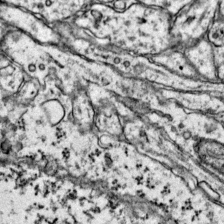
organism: Mouse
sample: Primary visual cortex